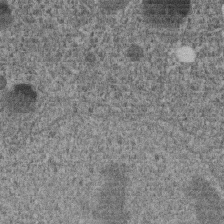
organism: C. elegans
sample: C. elegans embryo early stage